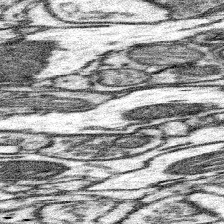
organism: Mouse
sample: Somatosensory cortex neuropil